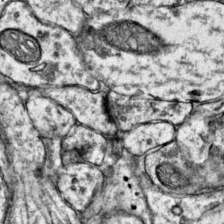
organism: Mouse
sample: Primary visual cortex